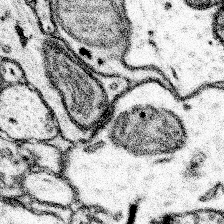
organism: Mouse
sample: Somatosensory cortex neuropil